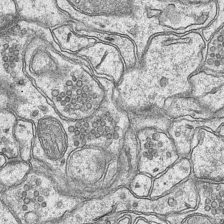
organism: Mouse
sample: CA1 Hippocampus